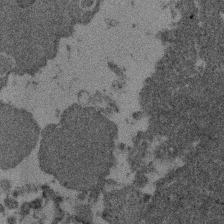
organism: Mouse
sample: Dividing mouse embryo 1 cell stage